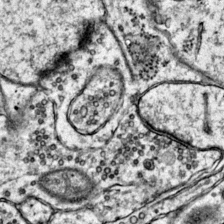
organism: Mouse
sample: Primary visual cortex